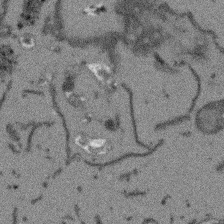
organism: Arabidopsis thaliana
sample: Root tip